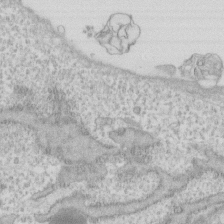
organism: Human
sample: Fibroblast cells